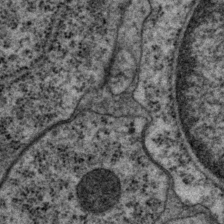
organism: P. pacificus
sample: Pharynx